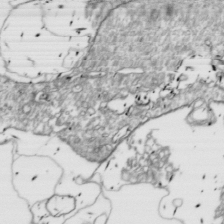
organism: Drosophila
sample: Cell division; meiosis; drosophila spermatocytes